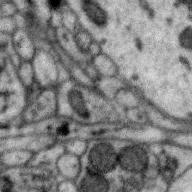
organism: Zebra finch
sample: Brain